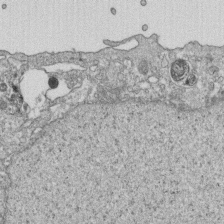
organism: Human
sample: HeLa cell HIV synapse